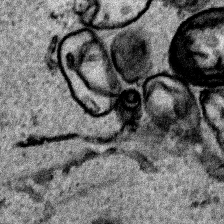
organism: Human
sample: Mitochondria in HCT116 cells